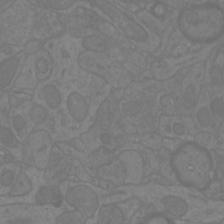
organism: Mouse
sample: Cortical neurons